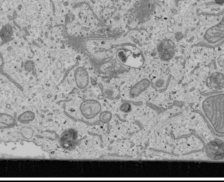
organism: Human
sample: Mitochondria in U2OS cells